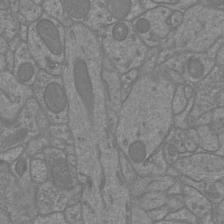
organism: Mouse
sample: Cortical neurons